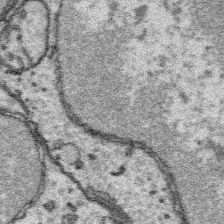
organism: Platynereis dumerilii